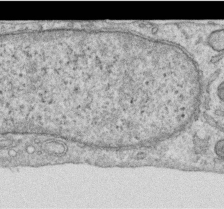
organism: Human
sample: Centriole in RPE cells